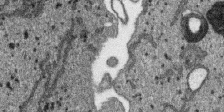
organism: Human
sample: Lung epithelial cells infected with SARS-CoV-2